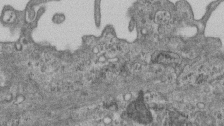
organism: Mouse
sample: Centriole in ependymal cells